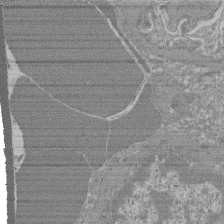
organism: Mouse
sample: Glomerulus